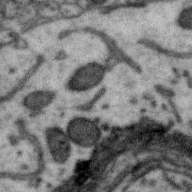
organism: Zebra finch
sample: Brain